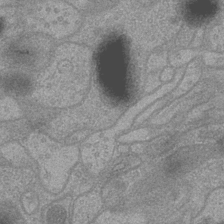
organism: Drosophila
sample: Optic medulla